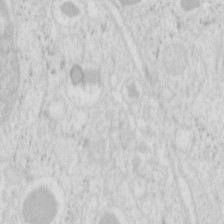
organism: Mouse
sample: Pancreas